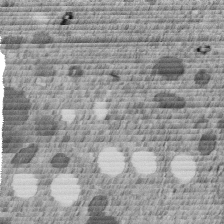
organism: C. elegans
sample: C. elegans embryo early stage